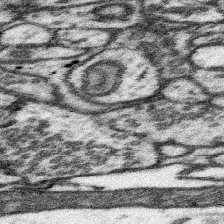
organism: Mouse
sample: Somatosensory cortex neuropil